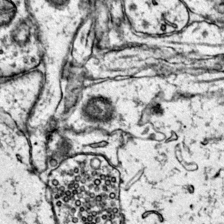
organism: Mouse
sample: Primary visual cortex